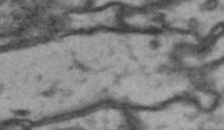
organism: Drosophila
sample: Brain